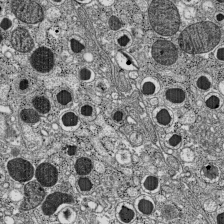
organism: C57BL Mouse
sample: Pancreatic islet